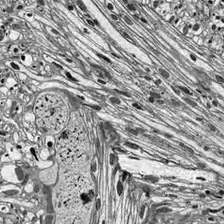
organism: Drosophila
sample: Optic lobe